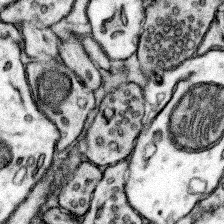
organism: Mouse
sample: Somatosensory cortex neuropil